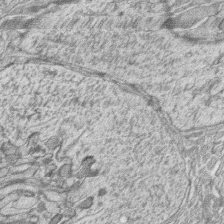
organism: Zebrafish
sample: synaptic ribbons in rod cells and cone cells